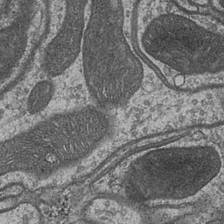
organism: Drosophila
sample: Optic medulla